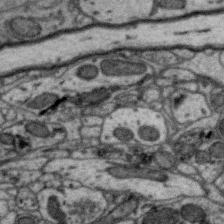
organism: Zebra finch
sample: Brain